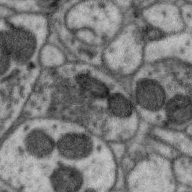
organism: Zebra finch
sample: Brain